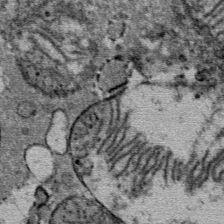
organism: Mouse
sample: Mouse Salivary gland